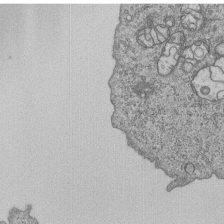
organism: Human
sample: MDA-MB-231 cells